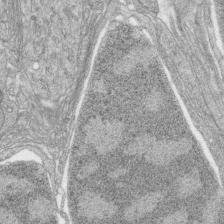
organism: Zebrafish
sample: synaptic ribbons in rod cells and cone cells